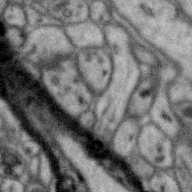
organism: Zebra finch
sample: Brain